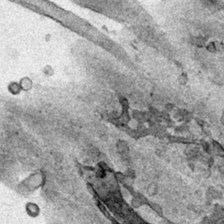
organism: Human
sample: Mitochondria in HCT116 cells